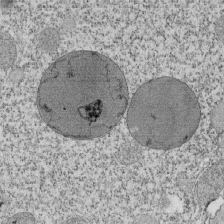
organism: Tetrahymena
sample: Cilia in tetrahymena